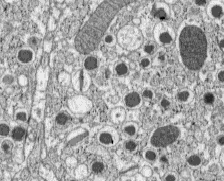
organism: C57BL Mouse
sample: Pancreatic islet